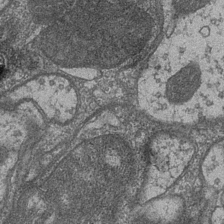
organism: Drosophila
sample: Optic medulla